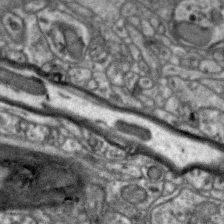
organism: Zebra finch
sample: Brain